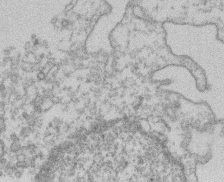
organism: Mouse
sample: T cell stromal cell synapse